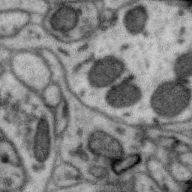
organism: Zebra finch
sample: Brain